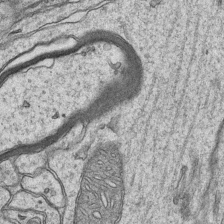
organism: Mouse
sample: CA1 Hippocampus